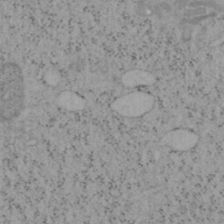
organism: Mouse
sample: OT-I killer T cells with ID8 ovarian cancer cells